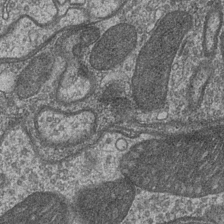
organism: Drosophila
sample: Optic medulla